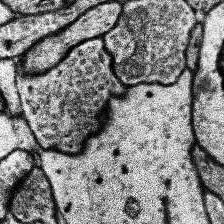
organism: Human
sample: Temporal Lobe